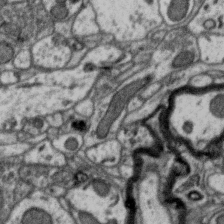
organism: Zebra finch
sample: Brain